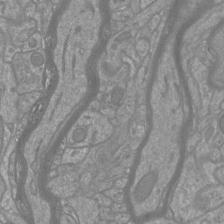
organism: Mouse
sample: Cortical neurons